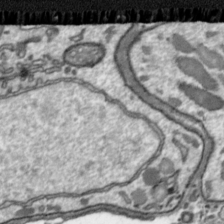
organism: Toxoplasma gondii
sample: Parasites in a vacuole inside a host cell